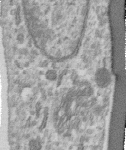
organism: Human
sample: Centriole in RPE cells